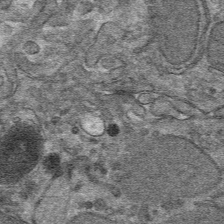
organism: Mouse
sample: Mouse hepatocytes